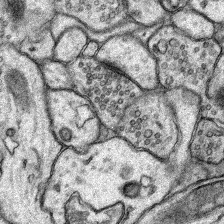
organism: Rat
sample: Hippocampus